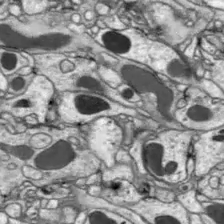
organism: Drosophila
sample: Optic lobe